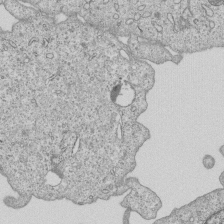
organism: Human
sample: MDA-MB-231 cells